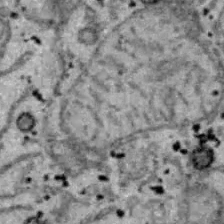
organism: Mouse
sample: Liver from an obese (ob/ob) mouse